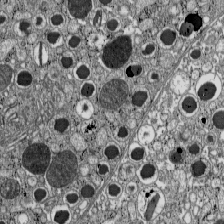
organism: C57BL Mouse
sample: Pancreatic islet